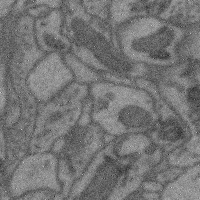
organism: Mouse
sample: Cerebral cortex